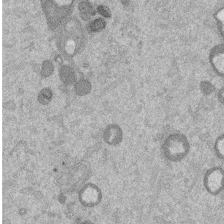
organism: Mouse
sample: Dividing mouse embryo 1 cell stage